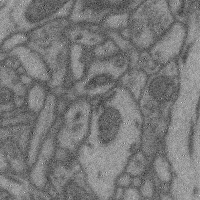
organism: Mouse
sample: Cerebral cortex